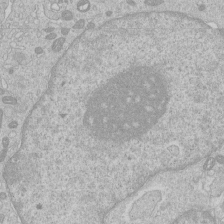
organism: Human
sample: Macrophage cells